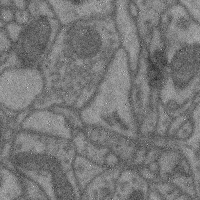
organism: Mouse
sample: Cerebral cortex